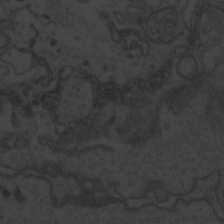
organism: Zebrafish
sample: Macrophage infected with Toxoplasma gondii